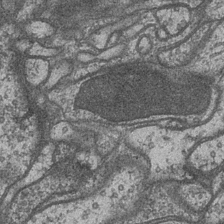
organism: Drosophila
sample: Optic medulla